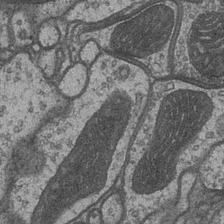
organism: Drosophila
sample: Optic medulla